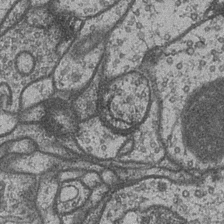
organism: Drosophila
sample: Optic medulla